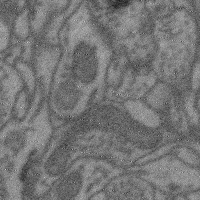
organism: Mouse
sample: Cerebral cortex